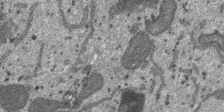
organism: Human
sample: Lung epithelial cells infected with SARS-CoV-2